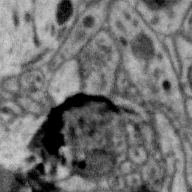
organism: Zebra finch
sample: Brain